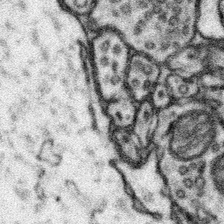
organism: Mouse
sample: Somatosensory cortex neuropil